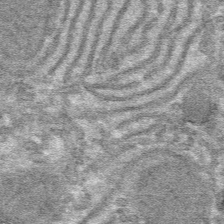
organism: Mouse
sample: Mouse hepatocytes